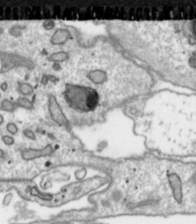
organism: Toxoplasma gondii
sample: Parasites in a vacuole inside a host cell